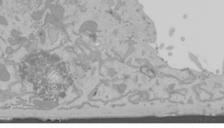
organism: Mouse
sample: Cancer cell death in ED-1 cells